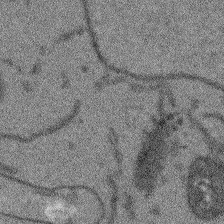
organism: Arabidopsis thaliana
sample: Root tip